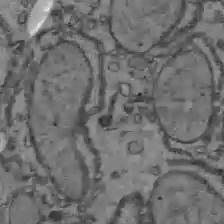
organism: C57BL Mouse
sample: Liver